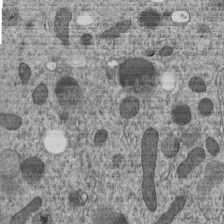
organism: C. elegans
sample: C. elegans embryo early stage